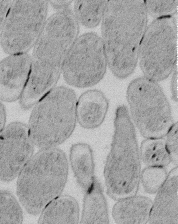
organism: E. coli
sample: Bacterial nucleoid